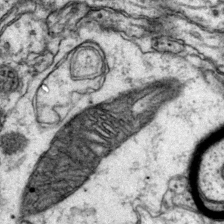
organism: Mouse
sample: Primary visual cortex